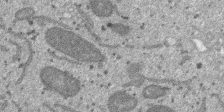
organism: Human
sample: Lung epithelial cells infected with SARS-CoV-2